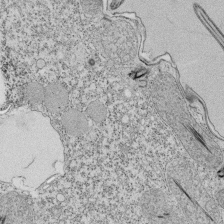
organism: Tetrahymena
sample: Cilia in tetrahymena